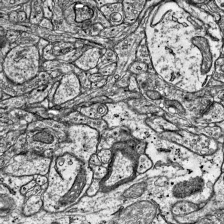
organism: Mouse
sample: Visual Cortex